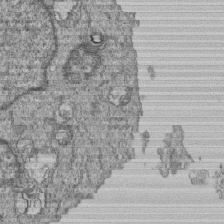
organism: Human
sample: MDA-MB-231 cells